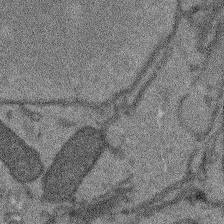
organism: Arabidopsis thaliana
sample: Root tip